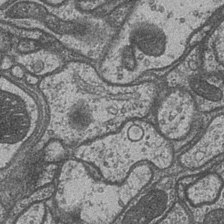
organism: Drosophila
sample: Optic medulla